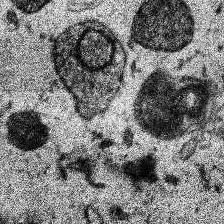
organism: Human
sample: Temporal Lobe